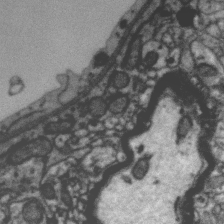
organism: Zebra finch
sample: Brain